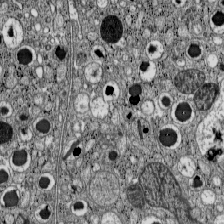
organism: C57BL Mouse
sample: Pancreatic islet